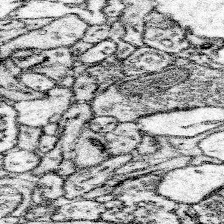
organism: Mouse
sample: Somatosensory cortex neuropil